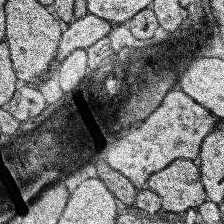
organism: Human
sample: Temporal Lobe